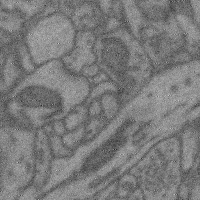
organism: Mouse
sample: Cerebral cortex